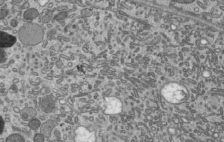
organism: Mouse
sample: Mouse epididymis efferent ductule cilia